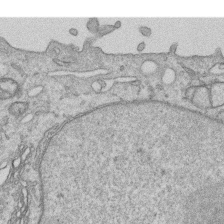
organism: Human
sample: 1205lu cells